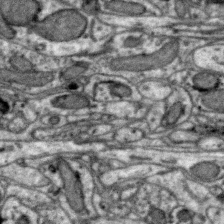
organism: Zebra finch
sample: Brain